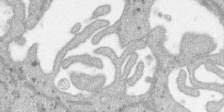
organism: Human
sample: Lung epithelial cells infected with SARS-CoV-2